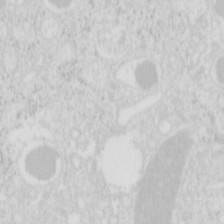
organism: Mouse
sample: Pancreas